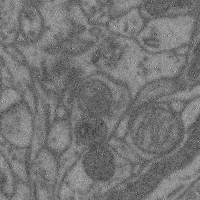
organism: Mouse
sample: Cerebral cortex